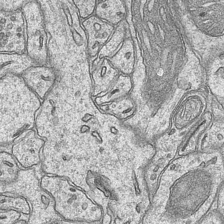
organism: Mouse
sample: CA1 Hippocampus